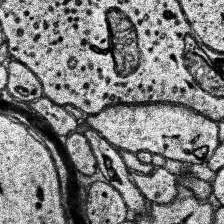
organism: Human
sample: Temporal Lobe